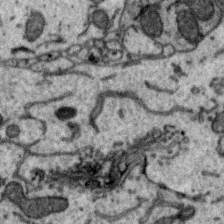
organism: Zebra finch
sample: Brain